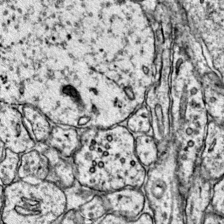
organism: Mouse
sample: Primary visual cortex